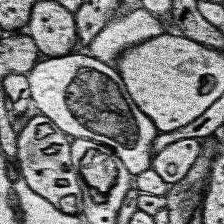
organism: Human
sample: Temporal Lobe